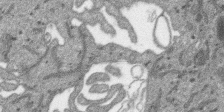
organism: Human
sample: Lung epithelial cells infected with SARS-CoV-2